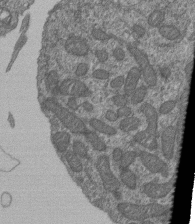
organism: Human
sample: Retinal organoid Rod and Cone cells